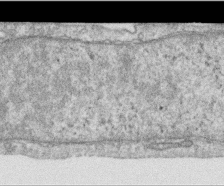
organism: Human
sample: Centriole in RPE cells